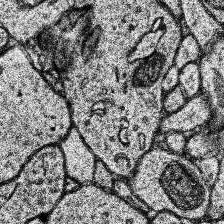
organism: Human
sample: Temporal Lobe